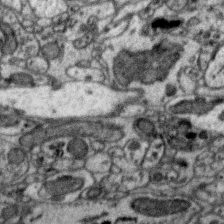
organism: Zebra finch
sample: Brain